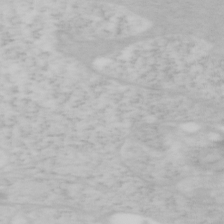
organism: Mouse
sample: OT-I killer T cells with ID8 ovarian cancer cells